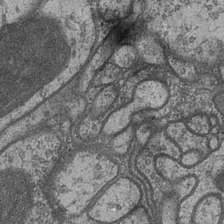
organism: Drosophila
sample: Optic medulla